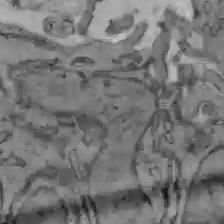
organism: C57BL Mouse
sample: Liver